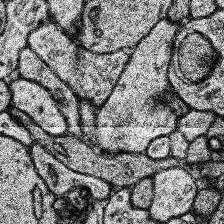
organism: Human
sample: Temporal Lobe